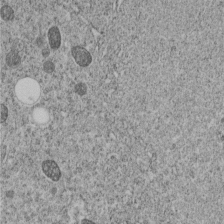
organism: C. elegans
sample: C. elegans embryo early stage